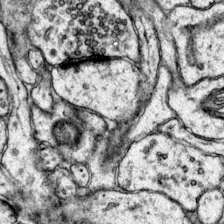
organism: Mouse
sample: Primary visual cortex